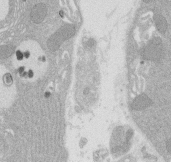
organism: Rat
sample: Salivary granule